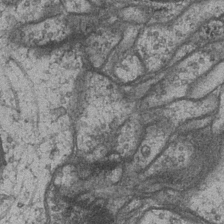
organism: Drosophila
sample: Optic medulla